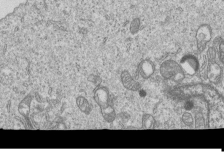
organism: Human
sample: MDA-MB-231 cells